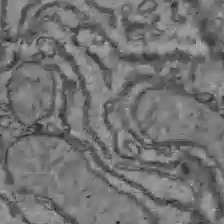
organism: C57BL Mouse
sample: Liver